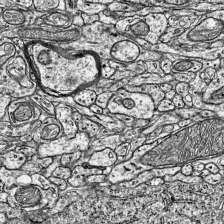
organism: Mouse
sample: Visual Cortex